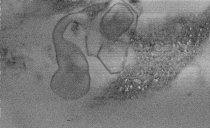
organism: Human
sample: Centriole in fibroblast cells